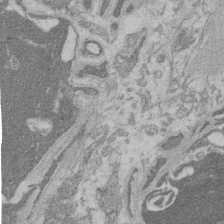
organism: Rat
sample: Salivary granule